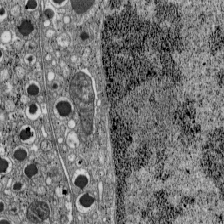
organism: C57BL Mouse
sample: Pancreatic islet